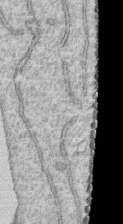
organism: Human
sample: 1205lu cells